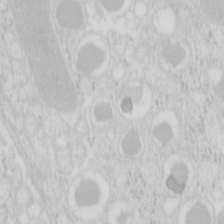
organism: Mouse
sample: Pancreas